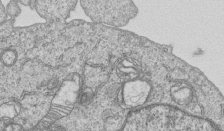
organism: Human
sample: MDA-MB-231 cells